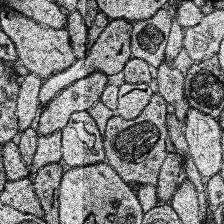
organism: Human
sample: Temporal Lobe